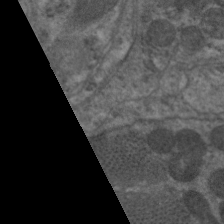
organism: C. elegans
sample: Pharynx